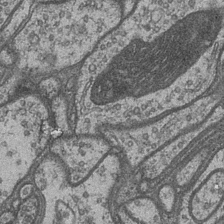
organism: Drosophila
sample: Optic medulla